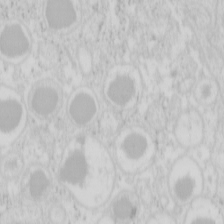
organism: Mouse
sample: Pancreas